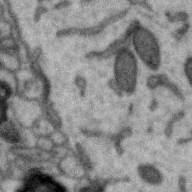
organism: Zebra finch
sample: Brain